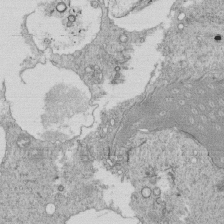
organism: Tetrahymena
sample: Cilia in tetrahymena